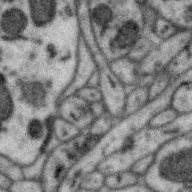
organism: Zebra finch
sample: Brain